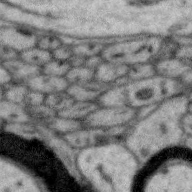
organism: Zebra finch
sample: Brain